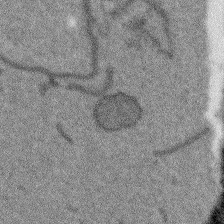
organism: Arabidopsis thaliana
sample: Root tip